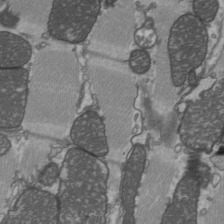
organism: C57BL Mouse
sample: Heart